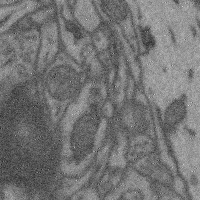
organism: Mouse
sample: Cerebral cortex